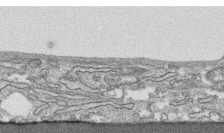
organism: Human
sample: CRL-1474